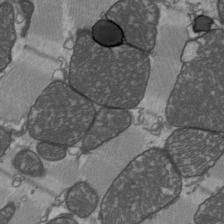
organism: C57BL Mouse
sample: Heart